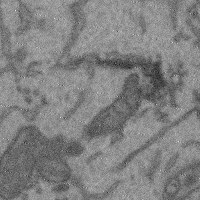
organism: Mouse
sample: Cerebral cortex